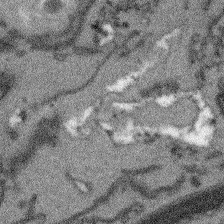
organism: Arabidopsis thaliana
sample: Root tip